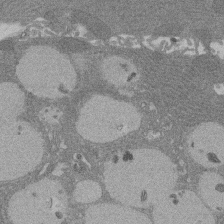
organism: Rat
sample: Salivary granule